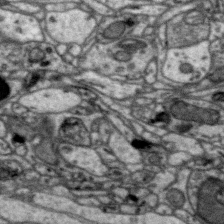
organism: Zebra finch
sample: Brain